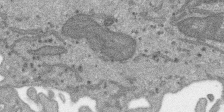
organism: Human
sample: Lung epithelial cells infected with SARS-CoV-2